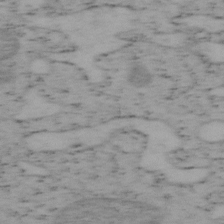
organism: Mouse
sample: OT-I killer T cells with ID8 ovarian cancer cells